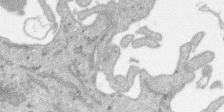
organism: Human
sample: Lung epithelial cells infected with SARS-CoV-2